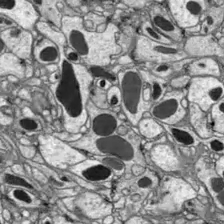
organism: Drosophila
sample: Optic lobe